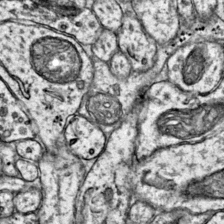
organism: Mouse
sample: Primary visual cortex